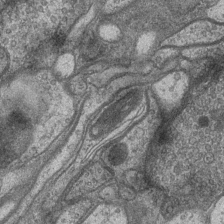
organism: Drosophila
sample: Optic medulla